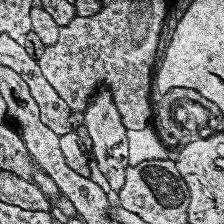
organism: Human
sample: Temporal Lobe